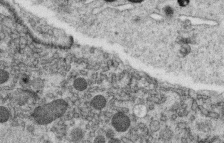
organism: C. elegans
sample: C. elegans oocyte; sperm cells